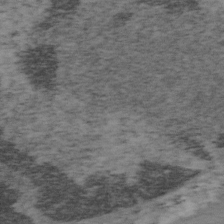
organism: Mouse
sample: OT-I killer T cells with ID8 ovarian cancer cells